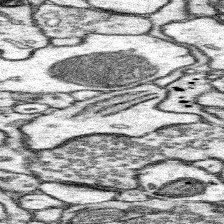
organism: Mouse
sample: Somatosensory cortex neuropil